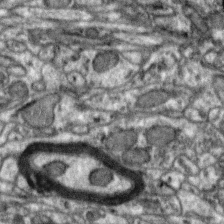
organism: Zebra finch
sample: Brain